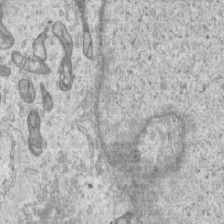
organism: Human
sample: Centriole in RPE cells